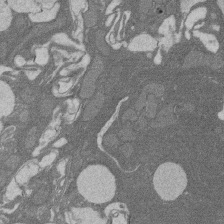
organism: Rat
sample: Salivary granule